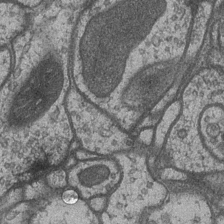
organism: Drosophila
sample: Optic medulla